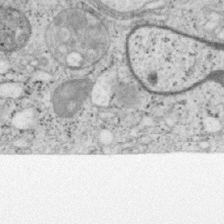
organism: Mouse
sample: OT-I killer T cells with ID8 ovarian cancer cells